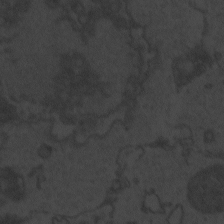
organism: Zebrafish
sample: Macrophage infected with Toxoplasma gondii